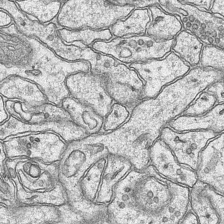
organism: Mouse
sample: CA1 Hippocampus